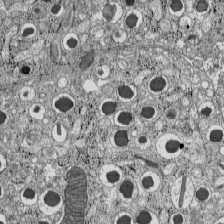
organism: C57BL Mouse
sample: Pancreatic islet